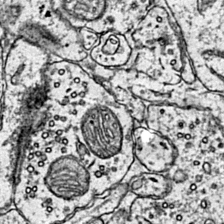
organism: Mouse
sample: Primary visual cortex